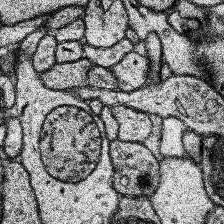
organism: Human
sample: Temporal Lobe